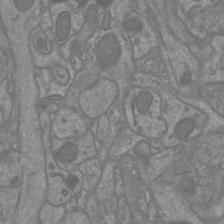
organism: Mouse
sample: Cortical neurons